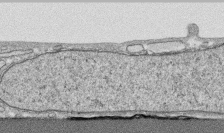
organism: Human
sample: CRL-1474